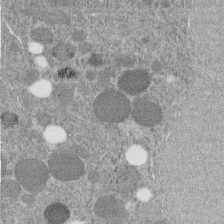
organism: C. elegans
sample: C. elegans embryo early stage